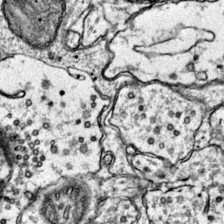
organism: Mouse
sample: Primary visual cortex